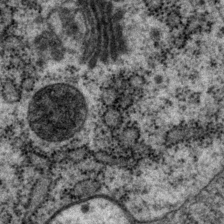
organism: P. pacificus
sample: Pharynx